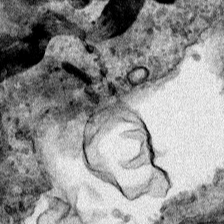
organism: Human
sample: Mitochondria in HCT116 cells